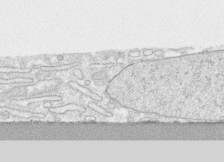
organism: Human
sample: CRL-1474